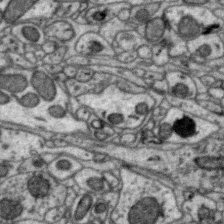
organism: Zebra finch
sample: Brain